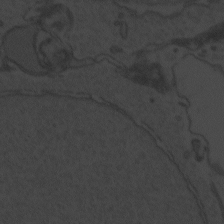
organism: Zebrafish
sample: Macrophage infected with Toxoplasma gondii